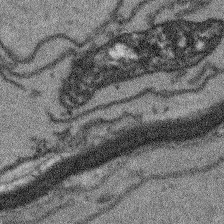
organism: Arabidopsis thaliana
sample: Root tip